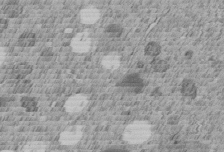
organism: C. elegans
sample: C. elegans embryo early stage